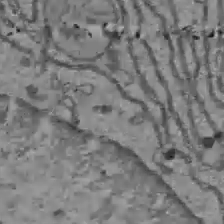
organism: C57BL Mouse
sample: Liver